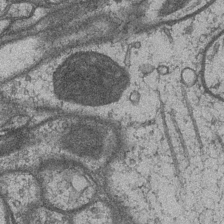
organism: Drosophila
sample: Optic medulla